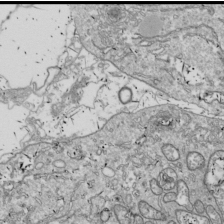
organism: Drosophila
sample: Cell division; meiosis; drosophila spermatocytes